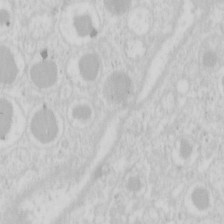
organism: Mouse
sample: Pancreas